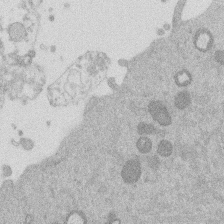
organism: Mouse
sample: Dividing mouse embryo 1 cell stage